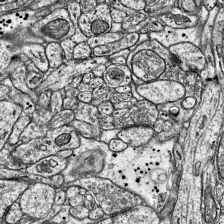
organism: Mouse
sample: Visual Cortex